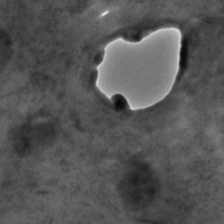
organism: C. elegans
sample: C. elegans embryo